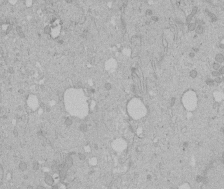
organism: Human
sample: Melanocyte Keratinocyte synapse skin construct